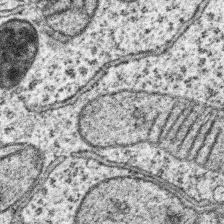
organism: Human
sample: HeLa cells